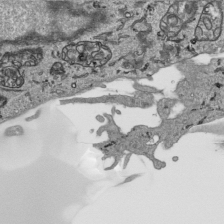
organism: Human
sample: Mitochondria in HCT116 cells